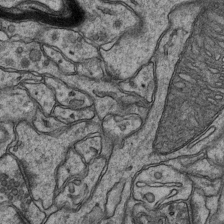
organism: Mouse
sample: CA1 Hippocampus